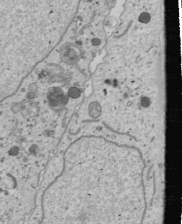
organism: Human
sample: Mitochondria in U2OS cells